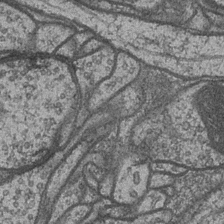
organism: Drosophila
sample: Optic medulla